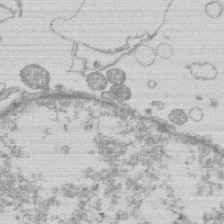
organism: Human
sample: Macrophage cells